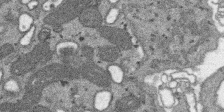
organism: Human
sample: Lung epithelial cells infected with SARS-CoV-2